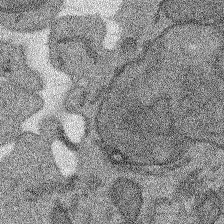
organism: Human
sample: HeLa cells